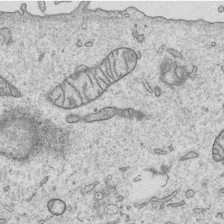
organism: Human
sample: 1205lu cells